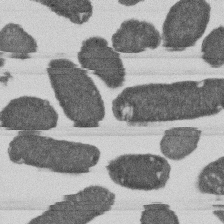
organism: E. coli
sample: Bacterial nucleoid